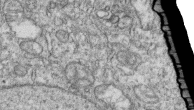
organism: Human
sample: HeLa cell HIV synapse